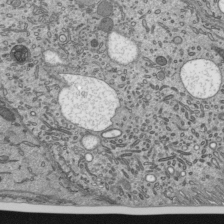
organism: Mouse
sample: Mouse epididymis efferent ductule cilia